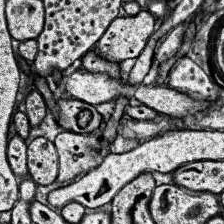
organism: Human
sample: Temporal Lobe